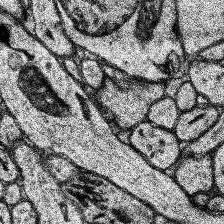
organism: Human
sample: Temporal Lobe